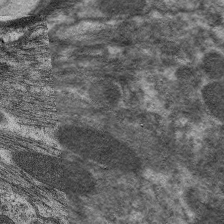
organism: C. elegans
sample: Pharynx